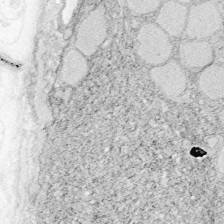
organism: Zebrafish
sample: Whole-Brain